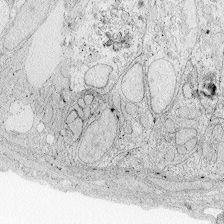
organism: Zebrafish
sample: Whole-Brain